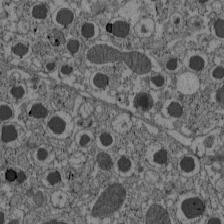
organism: C57BL Mouse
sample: Pancreatic islet